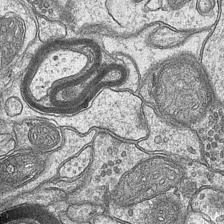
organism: Mouse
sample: CA1 Hippocampus